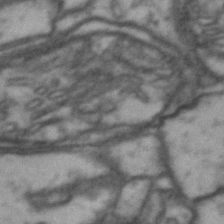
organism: Drosophila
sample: Brain